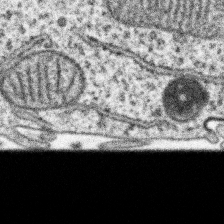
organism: Human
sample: HeLa cells